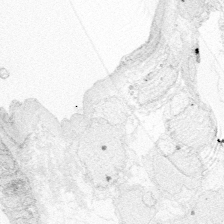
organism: Zebrafish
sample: Whole-Brain